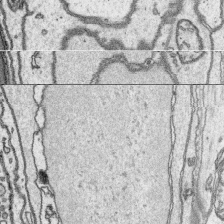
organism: Platynereis dumerilii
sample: Parapodia